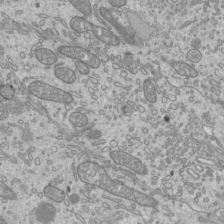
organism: Mouse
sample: Cilia; mouse epididymis